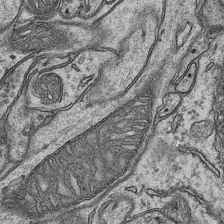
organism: Mouse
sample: CA1 Hippocampus